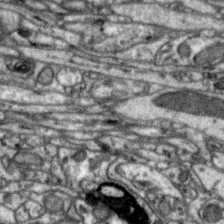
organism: Zebra finch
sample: Brain